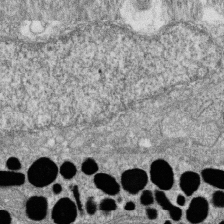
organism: Zebrafish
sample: Cilia; retinal pigment epithelium